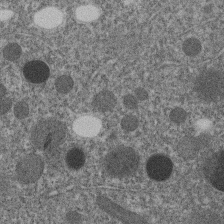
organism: C. elegans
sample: C. elegans embryo early stage